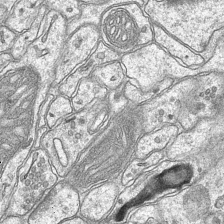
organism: Mouse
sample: CA1 Hippocampus